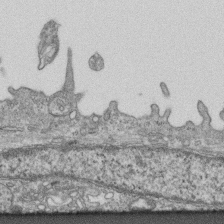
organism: Mouse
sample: Centriole in ependymal cells